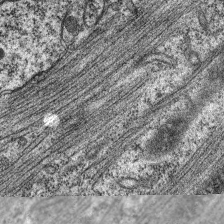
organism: C. elegans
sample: Pharynx